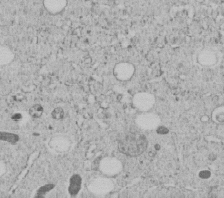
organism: C. elegans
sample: C. elegans embryo early stage